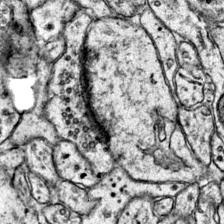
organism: Mouse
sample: Primary visual cortex